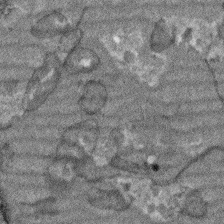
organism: Arabidopsis thaliana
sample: Root tip